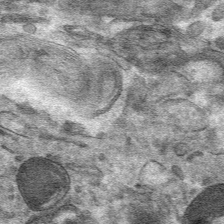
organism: Mouse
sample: Mouse hepatocytes